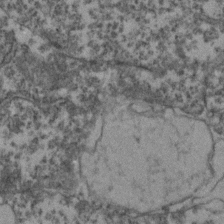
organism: Zebrafish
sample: Zebrafish embryo